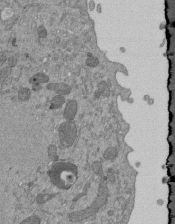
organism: Mouse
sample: ED-1 cell nuclei; centrioles